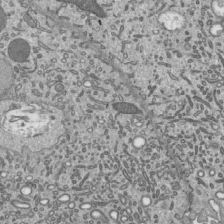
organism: Mouse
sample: Mouse epididymis efferent ductule cilia